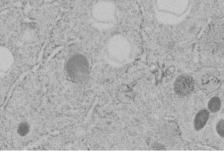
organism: C. elegans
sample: C. elegans embryo early stage